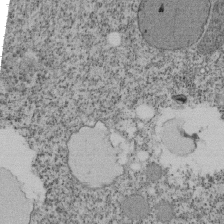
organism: Tetrahymena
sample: Cilia in tetrahymena